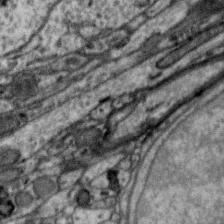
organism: Zebra finch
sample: Brain